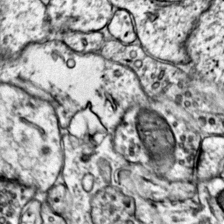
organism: Mouse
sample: Primary visual cortex